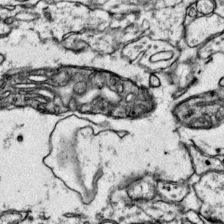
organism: Mouse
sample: Primary visual cortex